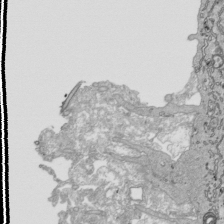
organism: Human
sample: Mitochondria in HCT116 cells